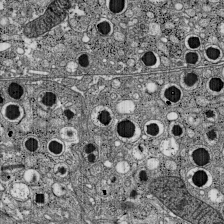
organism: C57BL Mouse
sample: Pancreatic islet